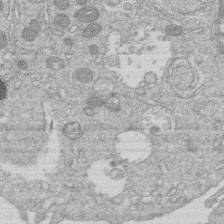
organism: Human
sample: Macrophage cells